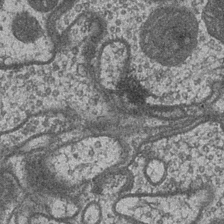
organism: Drosophila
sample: Optic medulla